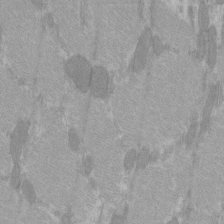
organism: C57BL Mouse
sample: Tibialis anterior muscle cell